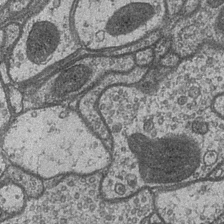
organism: Drosophila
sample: Optic medulla